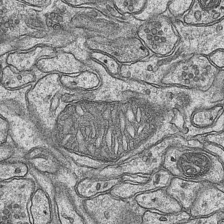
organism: Mouse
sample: CA1 Hippocampus